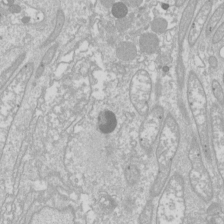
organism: Drosophila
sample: Cell division; meiosis; drosophila spermatocytes